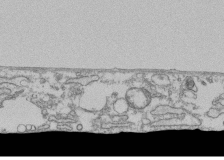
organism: Human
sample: Fibroblast cells